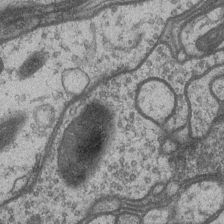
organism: Drosophila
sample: Optic medulla